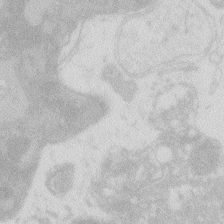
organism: Zebrafish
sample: Macrophage